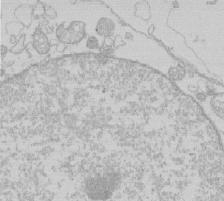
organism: Human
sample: Macrophage cells